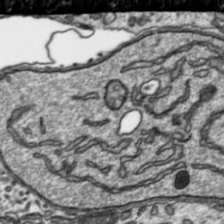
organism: Toxoplasma gondii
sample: Parasites in a vacuole inside a host cell